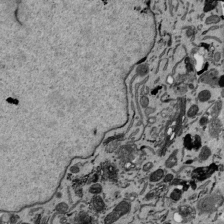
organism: Mouse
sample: ED-1 cell nuclei; centrioles